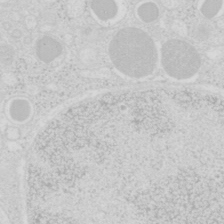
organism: Mouse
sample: Pancreas